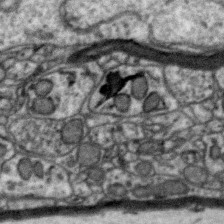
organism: Zebra finch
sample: Brain